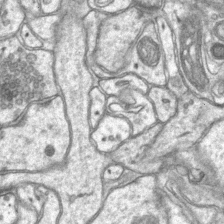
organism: Mouse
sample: CA1 Hippocampus